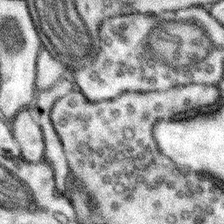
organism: Mouse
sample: Somatosensory cortex neuropil